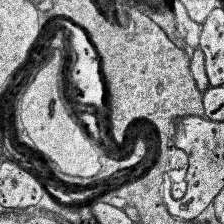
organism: Human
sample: Temporal Lobe